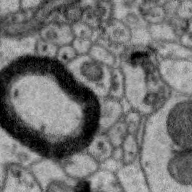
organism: Zebra finch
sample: Brain